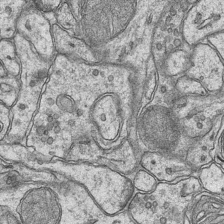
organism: Mouse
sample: CA1 Hippocampus